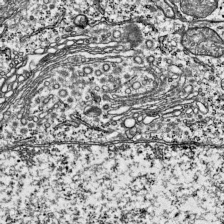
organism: Mouse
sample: Visual Cortex